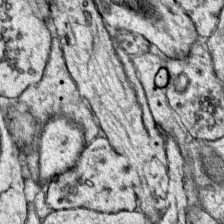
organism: Mouse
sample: Primary visual cortex